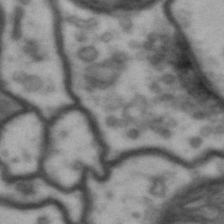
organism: Drosophila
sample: Brain